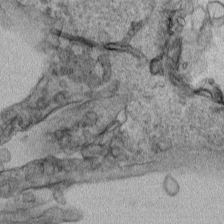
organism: Human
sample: Mitochondria in HCT116 cells